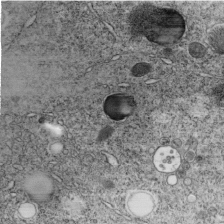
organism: C. elegans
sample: C. elegans embryo early stage